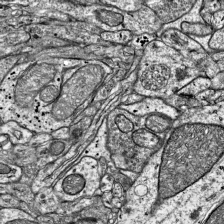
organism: Mouse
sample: Visual Cortex